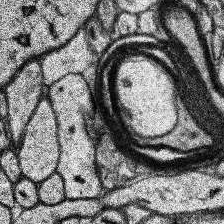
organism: Human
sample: Temporal Lobe